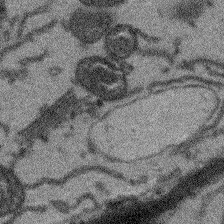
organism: Arabidopsis thaliana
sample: Root tip